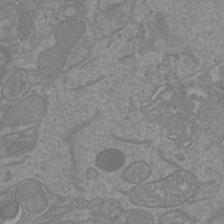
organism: Mouse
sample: Cortical neurons